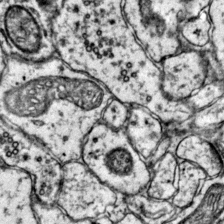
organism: Mouse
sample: Primary visual cortex